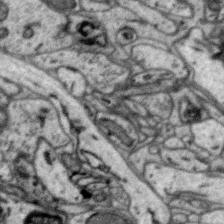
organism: Zebra finch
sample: Brain